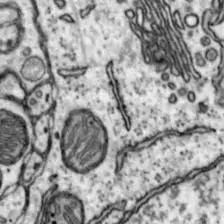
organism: Mouse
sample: Nucleus accumbens